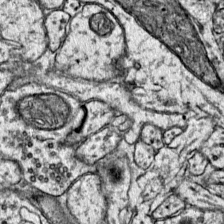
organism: Mouse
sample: Primary visual cortex